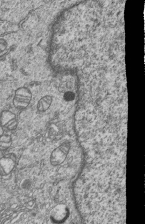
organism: Human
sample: MDA-MB-231 cells